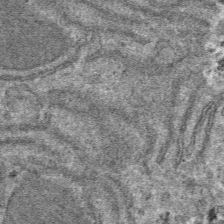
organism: Mouse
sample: Mouse hepatocytes